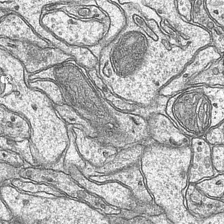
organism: Mouse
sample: CA1 Hippocampus